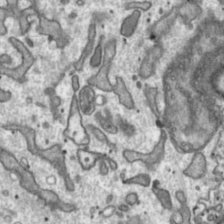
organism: Toxoplasma gondii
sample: Parasites in a vacuole inside a host cell